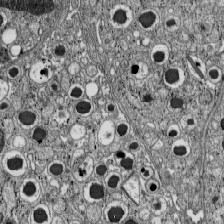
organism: C57BL Mouse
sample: Pancreatic islet